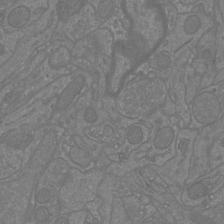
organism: Mouse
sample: Cortical neurons